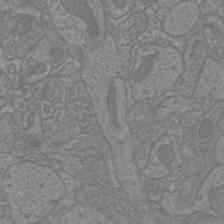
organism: Mouse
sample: Cortical neurons